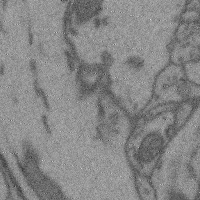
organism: Mouse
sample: Cerebral cortex